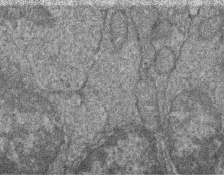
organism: Zebrafish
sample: Cilia; retinal pigment epithelium